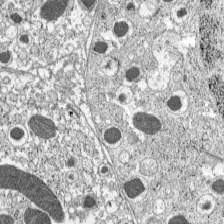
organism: C57BL Mouse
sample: Pancreatic islet